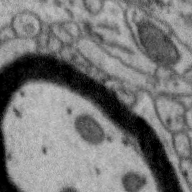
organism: Zebra finch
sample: Brain